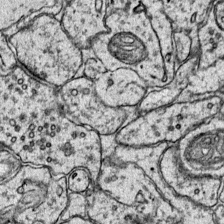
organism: Mouse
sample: Primary visual cortex